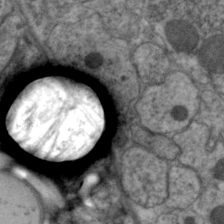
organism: C. elegans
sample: Pharynx